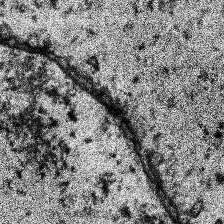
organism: Human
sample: Temporal Lobe